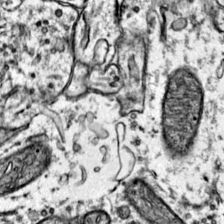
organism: Mouse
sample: Primary visual cortex